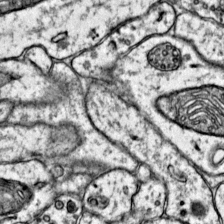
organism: Mouse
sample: Primary visual cortex